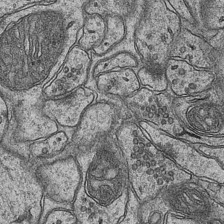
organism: Mouse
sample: CA1 Hippocampus